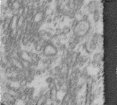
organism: Human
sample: Centriole in fibroblast cells